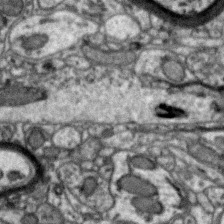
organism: Zebra finch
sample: Brain